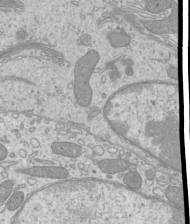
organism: Mouse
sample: Cilia; mouse epididymis